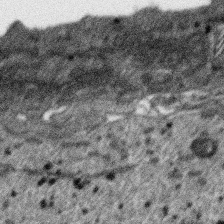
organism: Human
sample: Lung epithelial cells infected with SARS-CoV-2